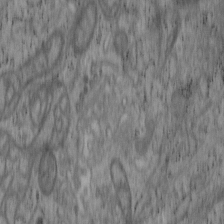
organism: Human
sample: HeLa cells